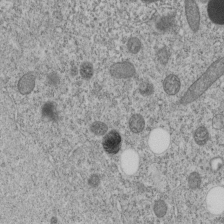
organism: C. elegans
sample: C. elegans embryo early stage